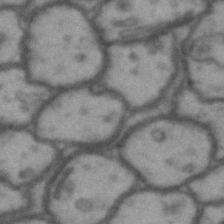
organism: Drosophila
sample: Brain